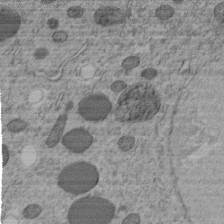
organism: C. elegans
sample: C. elegans embryo early stage